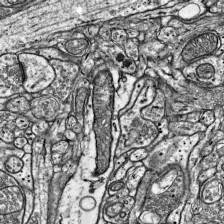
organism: Mouse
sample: Visual Cortex